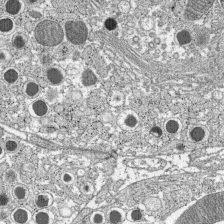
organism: C57BL Mouse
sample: Pancreatic islet